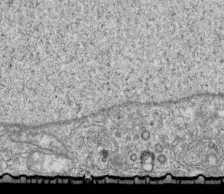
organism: Human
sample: HeLa cell HIV synapse